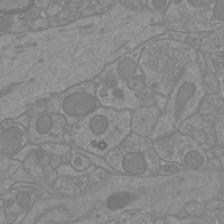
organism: Mouse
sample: Cortical neurons